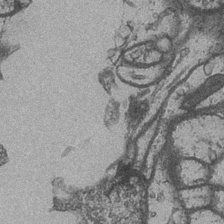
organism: Drosophila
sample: Optic medulla